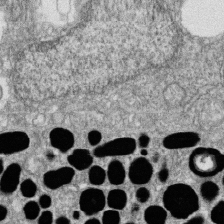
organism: Zebrafish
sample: Cilia; retinal pigment epithelium